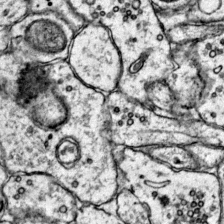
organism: Mouse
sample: Primary visual cortex